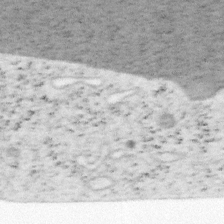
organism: Mouse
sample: OT-I killer T cells with ID8 ovarian cancer cells